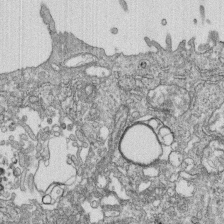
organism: Human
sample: HeLa cell HIV synapse